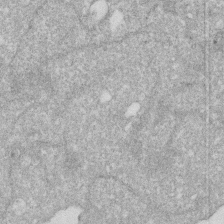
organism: Human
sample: HIV infected U937 cells